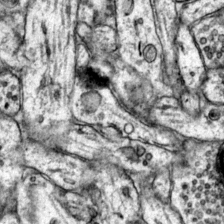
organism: Mouse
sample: Primary visual cortex